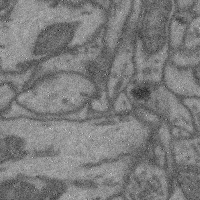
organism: Mouse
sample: Cerebral cortex